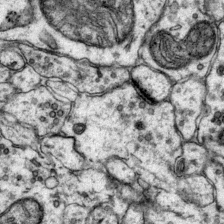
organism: Mouse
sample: Primary visual cortex